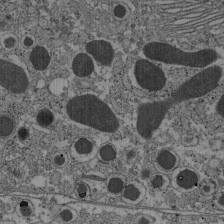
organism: C57BL Mouse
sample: Pancreatic islet